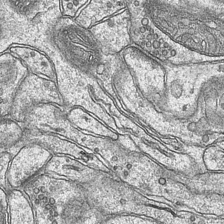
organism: Mouse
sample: CA1 Hippocampus